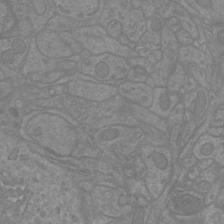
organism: Mouse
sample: Cortical neurons